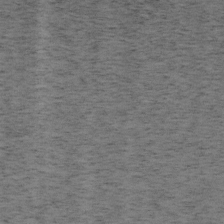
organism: Mouse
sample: OT-I killer T cells with ID8 ovarian cancer cells